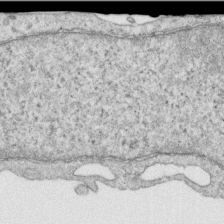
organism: Human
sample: Centriole in RPE cells